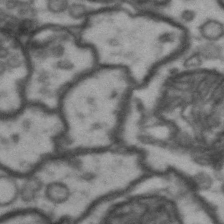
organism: Drosophila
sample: Brain